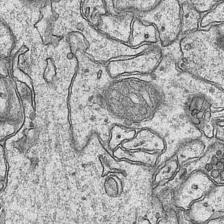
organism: Mouse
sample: CA1 Hippocampus